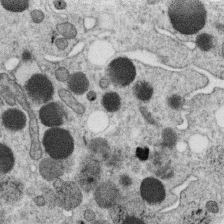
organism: C. elegans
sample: C. elegans oocyte; sperm cells